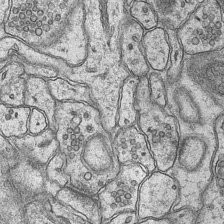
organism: Mouse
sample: CA1 Hippocampus